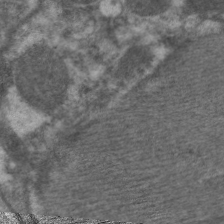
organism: C. elegans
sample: Pharynx